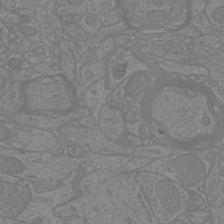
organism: Mouse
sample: Cortical neurons